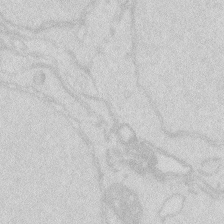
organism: Zebrafish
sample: Macrophage